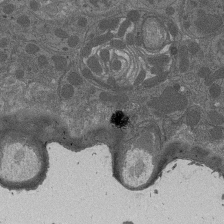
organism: Drosophila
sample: Antenna